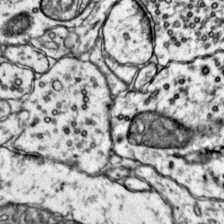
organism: Mouse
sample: Primary visual cortex